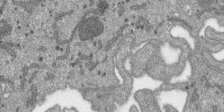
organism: Human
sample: Lung epithelial cells infected with SARS-CoV-2